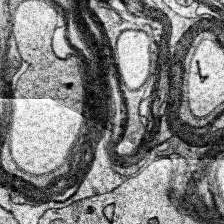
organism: Human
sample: Temporal Lobe